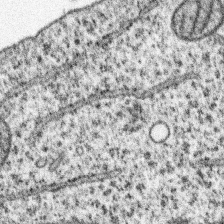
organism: Human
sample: HeLa cells